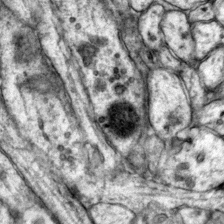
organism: Mouse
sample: Primary visual cortex